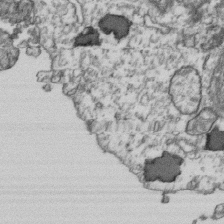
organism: Human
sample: Activated Jurkat CD4+ T cells